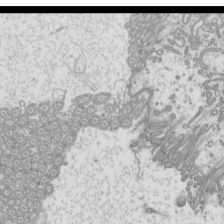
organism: Mouse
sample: Cilia; mouse epididymis